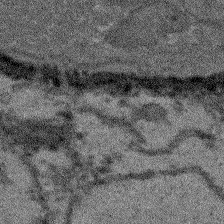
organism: Arabidopsis thaliana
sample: Root tip